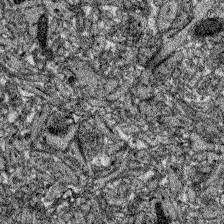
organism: Zebrafish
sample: Larval olfactory bulb